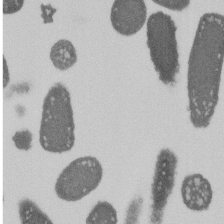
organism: E. coli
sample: Bacterial nucleoid